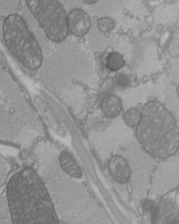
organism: C57BL Mouse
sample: Heart